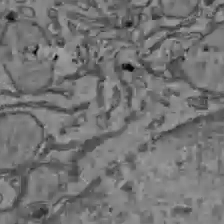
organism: C57BL Mouse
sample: Liver